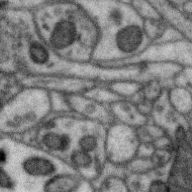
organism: Zebra finch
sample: Brain